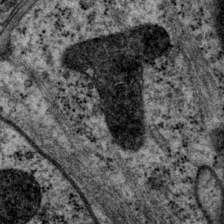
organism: P. pacificus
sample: Pharynx